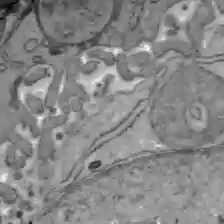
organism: C57BL Mouse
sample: Liver